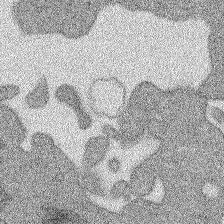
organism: Human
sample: HeLa cells